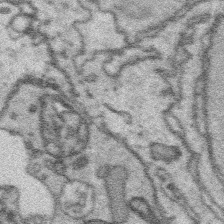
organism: Platynereis dumerilii